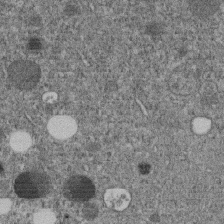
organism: C. elegans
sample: C. elegans embryo early stage